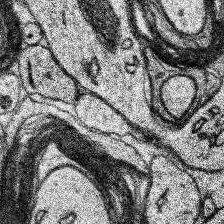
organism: Human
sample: Temporal Lobe